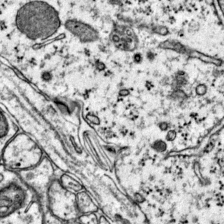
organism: Mouse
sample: Primary visual cortex